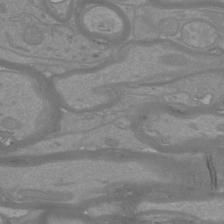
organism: Mouse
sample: Cortical neurons